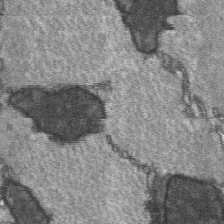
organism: C57BL Mouse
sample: Soleus